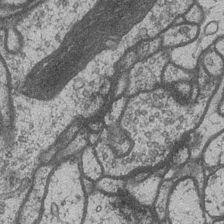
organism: Drosophila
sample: Optic medulla